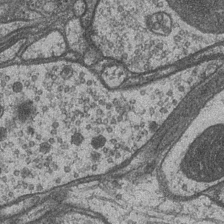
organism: Drosophila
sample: Optic medulla